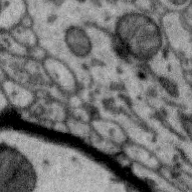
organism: Zebra finch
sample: Brain